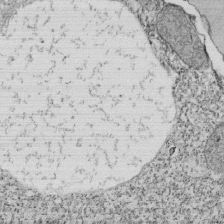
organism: Tetrahymena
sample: Cilia in tetrahymena